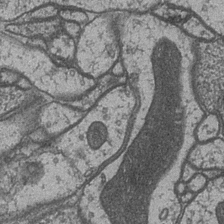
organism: Drosophila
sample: Optic medulla